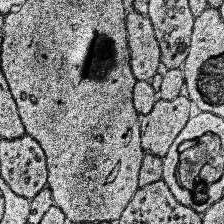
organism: Human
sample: Temporal Lobe